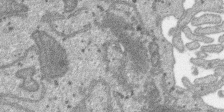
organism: Human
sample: Lung epithelial cells infected with SARS-CoV-2